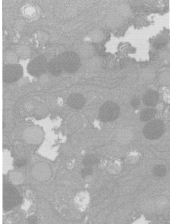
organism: C. elegans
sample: C. elegans oocyte; sperm cells